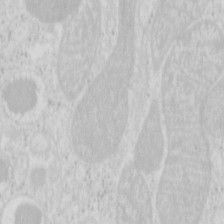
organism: Mouse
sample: Pancreas